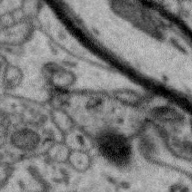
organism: Zebra finch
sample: Brain